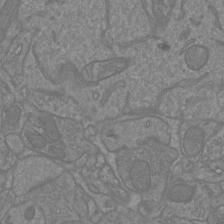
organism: Mouse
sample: Cortical neurons